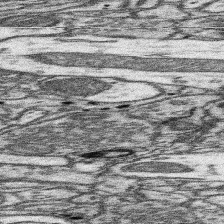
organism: Mouse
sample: Somatosensory cortex neuropil